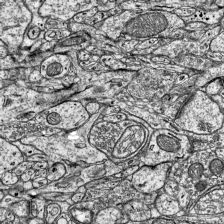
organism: Mouse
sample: Visual Cortex